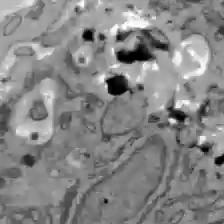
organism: C57BL Mouse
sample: Liver